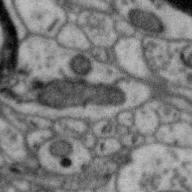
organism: Zebra finch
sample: Brain